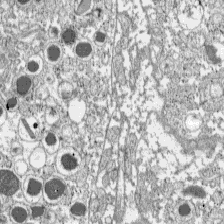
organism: C57BL Mouse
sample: Pancreatic islet